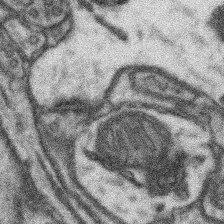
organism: Mouse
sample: Somatosensory cortex neuropil